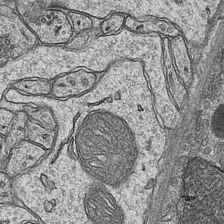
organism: Mouse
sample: CA1 Hippocampus